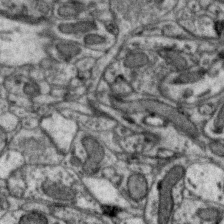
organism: Zebra finch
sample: Brain